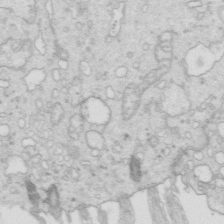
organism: Mouse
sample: Multiciliated cells